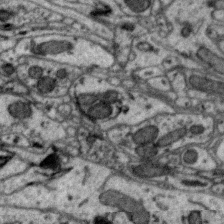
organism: Zebra finch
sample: Brain